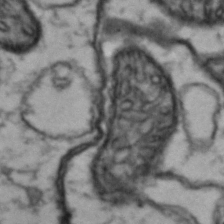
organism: Drosophila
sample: Brain